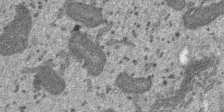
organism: Human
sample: Lung epithelial cells infected with SARS-CoV-2